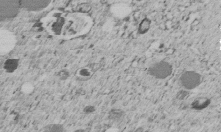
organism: C. elegans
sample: C. elegans embryo early stage